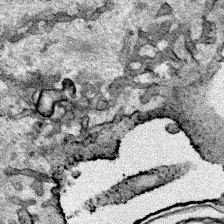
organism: Human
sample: Mitochondria in HCT116 cells